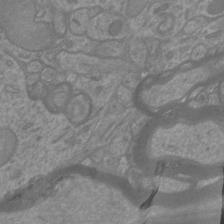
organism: Mouse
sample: Cortical neurons